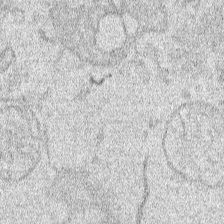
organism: Human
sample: Mitochondria in HCT116 cells